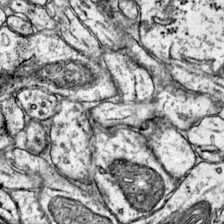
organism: Mouse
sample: Primary visual cortex